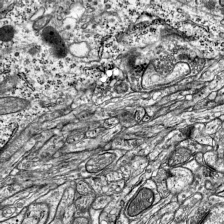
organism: Mouse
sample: Visual Cortex